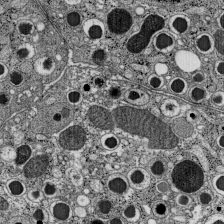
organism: C57BL Mouse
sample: Pancreatic islet